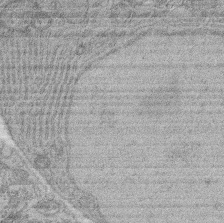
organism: Rat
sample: Salivary granule